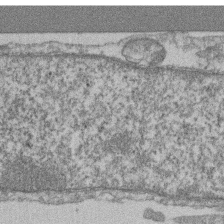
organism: Mouse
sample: T cell stromal cell synapse